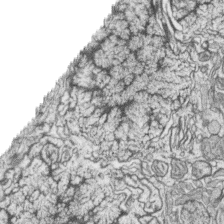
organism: Zebrafish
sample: synaptic ribbons in rod cells and cone cells